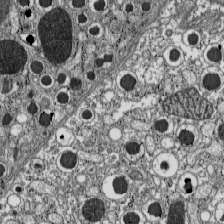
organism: C57BL Mouse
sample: Pancreatic islet